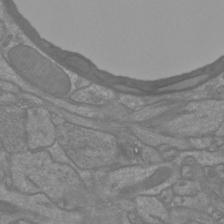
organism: Mouse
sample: Cortical neurons